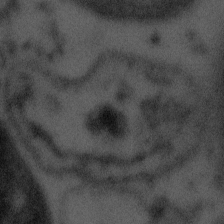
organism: Tuwongella immobilis